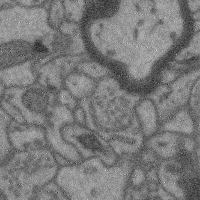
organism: Mouse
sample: Cerebral cortex